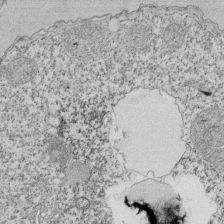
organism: Tetrahymena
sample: Cilia in tetrahymena